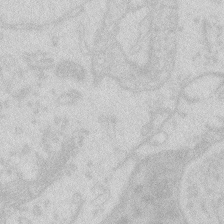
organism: Zebrafish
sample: Macrophage